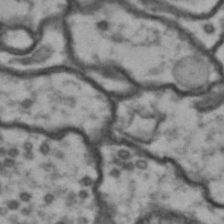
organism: Drosophila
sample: Brain